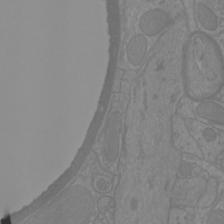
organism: Mouse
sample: Cortical neurons